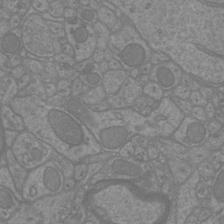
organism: Mouse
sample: Cortical neurons